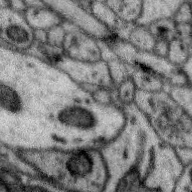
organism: Zebra finch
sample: Brain